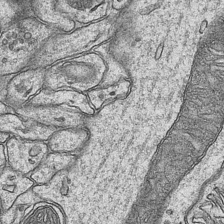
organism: Mouse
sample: CA1 Hippocampus